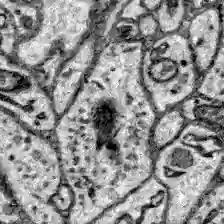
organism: Zebrafish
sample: Brain